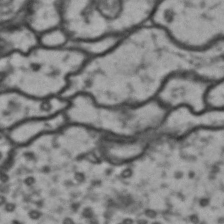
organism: Drosophila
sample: Brain